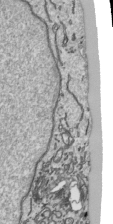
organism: Human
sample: Mitochondria in HCT116 cells